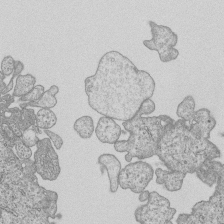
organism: Human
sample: MDA-MB-231 cells